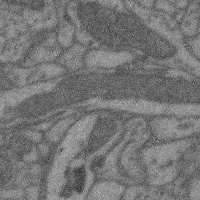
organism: Mouse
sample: Cerebral cortex